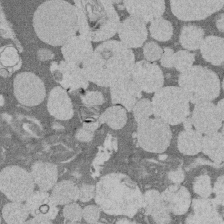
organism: Rat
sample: Salivary granule